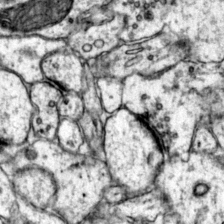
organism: Mouse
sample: Primary visual cortex